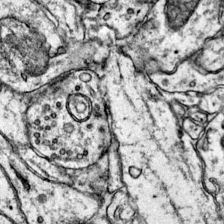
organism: Mouse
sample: Primary visual cortex